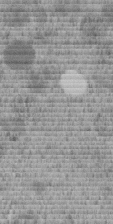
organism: C. elegans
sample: C. elegans embryo early stage